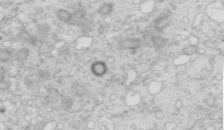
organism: Mouse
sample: Multiciliated cells